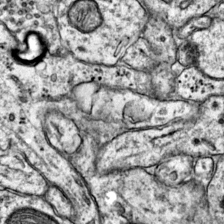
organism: Mouse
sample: Primary visual cortex